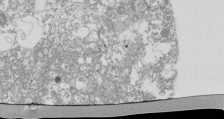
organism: Mouse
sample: Activated Pmel transgenic CD8+ T Cells